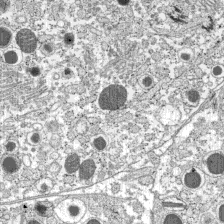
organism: C57BL Mouse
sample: Pancreatic islet